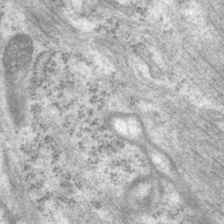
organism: P. pacificus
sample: Pharynx